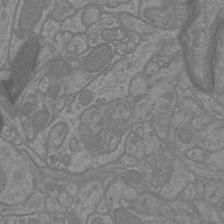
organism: Mouse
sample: Cortical neurons